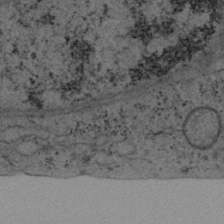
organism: Human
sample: HeLa cells